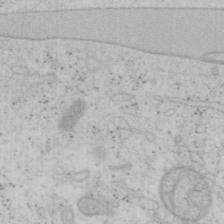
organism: Human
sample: HeLa cells